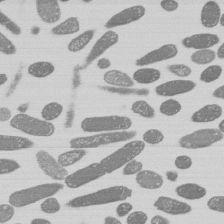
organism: E. coli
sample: Bacterial nucleoid